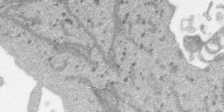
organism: Human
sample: Lung epithelial cells infected with SARS-CoV-2